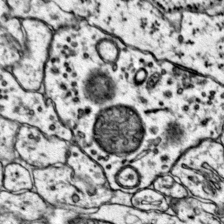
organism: Mouse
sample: Primary visual cortex